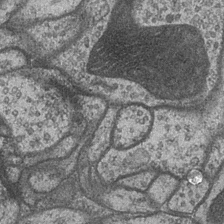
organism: Drosophila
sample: Optic medulla